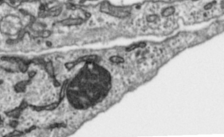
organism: Toxoplasma gondii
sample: Parasites in a vacuole inside a host cell